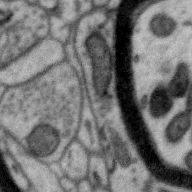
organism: Zebra finch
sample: Brain